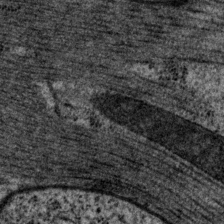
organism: P. pacificus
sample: Pharynx